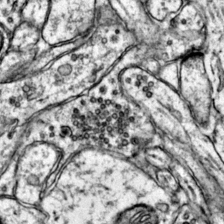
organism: Mouse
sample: Primary visual cortex